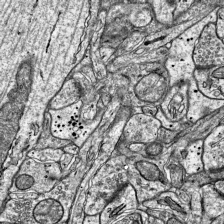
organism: Mouse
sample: Visual Cortex